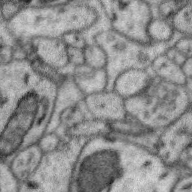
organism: Zebra finch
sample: Brain